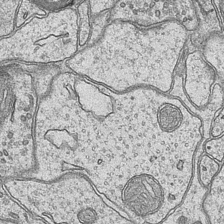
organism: Mouse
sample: CA1 Hippocampus